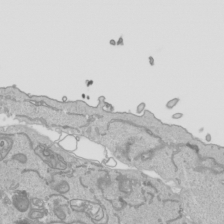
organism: Human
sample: Mitochondria in HCT116 cells